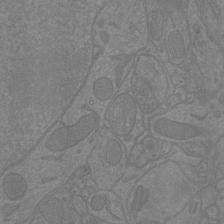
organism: Mouse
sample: Cortical neurons